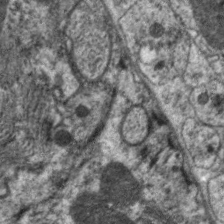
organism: C. elegans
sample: Pharynx